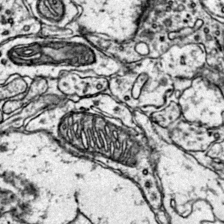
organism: Mouse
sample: Primary visual cortex